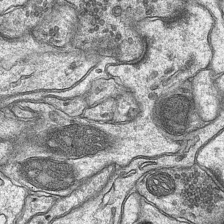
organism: Mouse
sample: CA1 Hippocampus